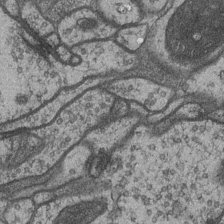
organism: Drosophila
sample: Optic medulla